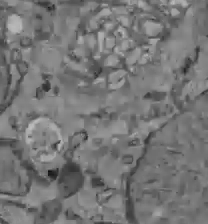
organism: C57BL Mouse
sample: Liver